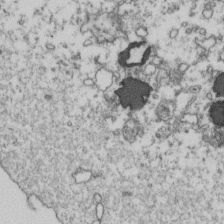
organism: Human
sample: Activated Jurkat CD4+ T cells